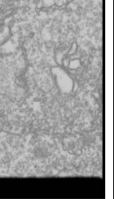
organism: Drosophila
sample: Cell division; meiosis; drosophila spermatocytes